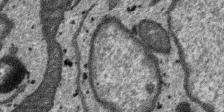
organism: Human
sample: Lung epithelial cells, uninfected (mock) control